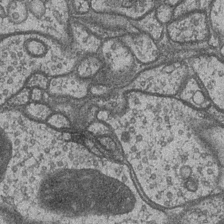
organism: Drosophila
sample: Optic medulla